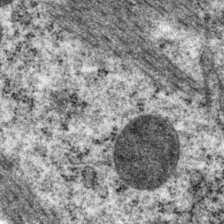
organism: P. pacificus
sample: Pharynx